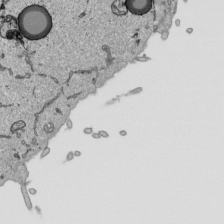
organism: Human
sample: Mitochondria in HCT116 cells